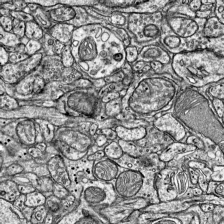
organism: Mouse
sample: Visual Cortex